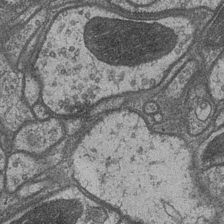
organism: Drosophila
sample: Optic medulla